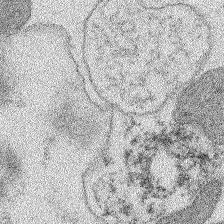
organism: Human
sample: HeLa cells